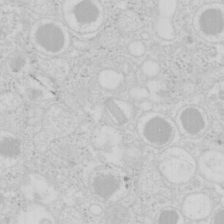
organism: Mouse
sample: Pancreas